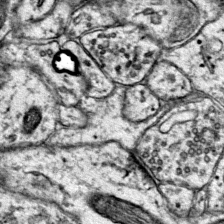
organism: Mouse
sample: Primary visual cortex